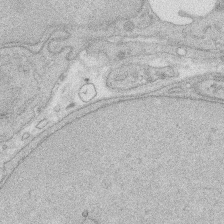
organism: Rat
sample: Salivary granule